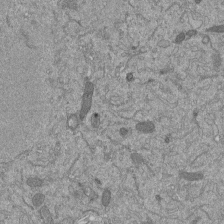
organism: Mouse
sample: ED-1 cell nuclei; centrioles